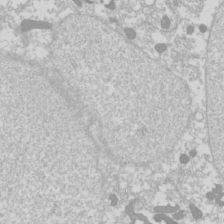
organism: Drosophila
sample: Cell division; meiosis; drosophila spermatocytes